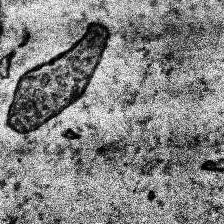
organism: Human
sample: Temporal Lobe